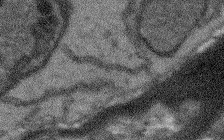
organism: Arabidopsis thaliana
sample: Root tip